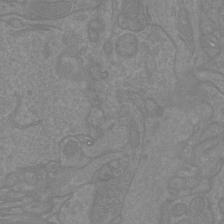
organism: Mouse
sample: Cortical neurons